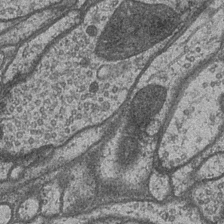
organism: Drosophila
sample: Optic medulla